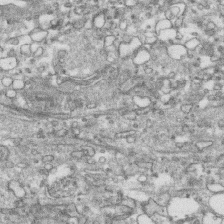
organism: Human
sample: CRL-1474